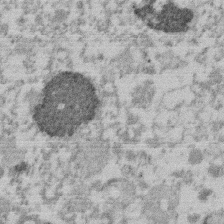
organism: Mouse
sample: Dividing mouse embryo 1 cell stage